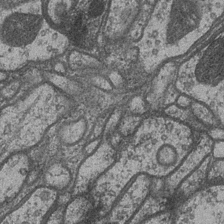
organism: Drosophila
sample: Optic medulla